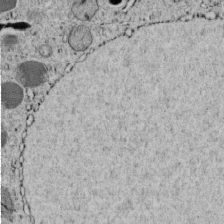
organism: C. elegans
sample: C. elegans embryo early stage